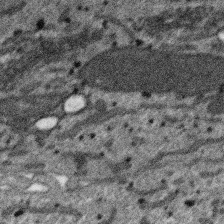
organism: Human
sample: Lung epithelial cells infected with SARS-CoV-2